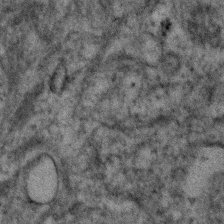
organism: Human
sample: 1205lu cells